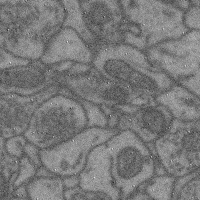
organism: Mouse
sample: Cerebral cortex